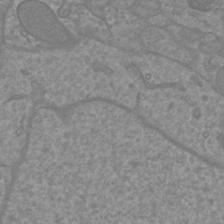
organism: Mouse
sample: Cortical neurons